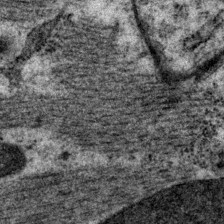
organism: P. pacificus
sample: Pharynx